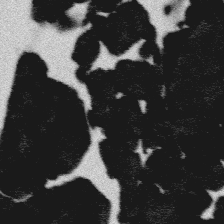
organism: Platynereis dumerilii